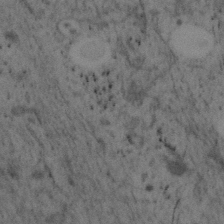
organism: Human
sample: HeLa cells